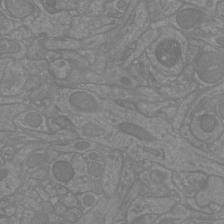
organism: Mouse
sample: Cortical neurons